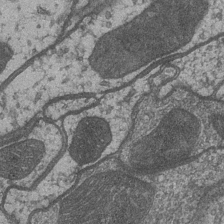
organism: Drosophila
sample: Optic medulla